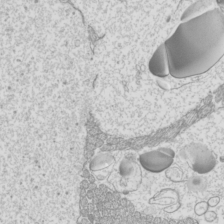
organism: Mouse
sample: Cilia; mouse epididymis